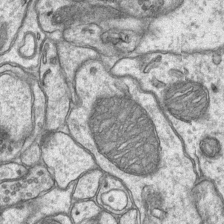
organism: Mouse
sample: CA1 Hippocampus